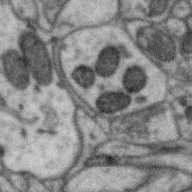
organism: Zebra finch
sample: Brain